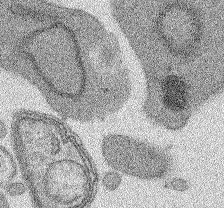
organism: Human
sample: HeLa cells